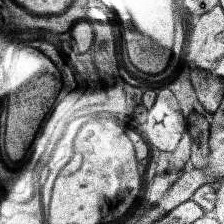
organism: Human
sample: Temporal Lobe